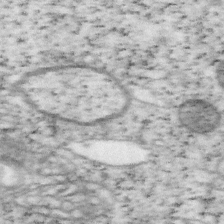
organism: Mouse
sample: OT-I killer T cells with ID8 ovarian cancer cells